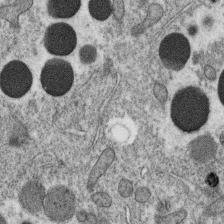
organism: C. elegans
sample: C. elegans oocyte; sperm cells